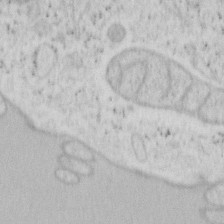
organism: Human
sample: HeLa cells